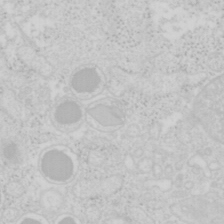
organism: Mouse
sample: Pancreas